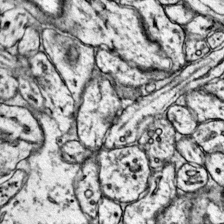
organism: Mouse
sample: Primary visual cortex